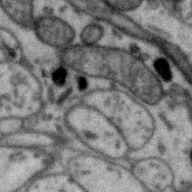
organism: Zebra finch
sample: Brain